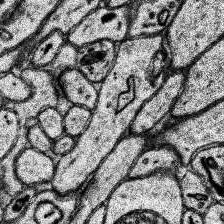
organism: Human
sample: Temporal Lobe